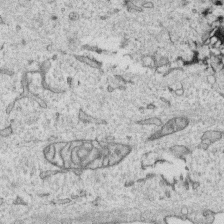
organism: Human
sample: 1205lu cells